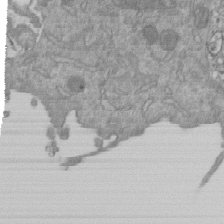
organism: Mouse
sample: ED-1 cell nuclei; centrioles